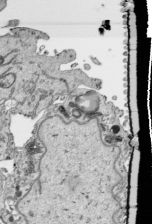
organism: Human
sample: Mitochondria in HCT116 cells